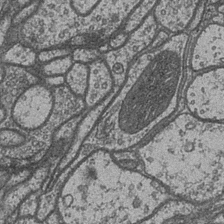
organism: Drosophila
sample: Optic medulla